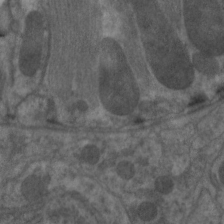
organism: C. elegans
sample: Pharynx